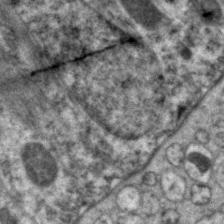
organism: C. elegans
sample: Pharynx